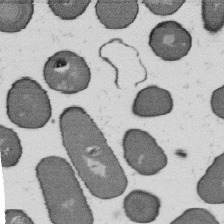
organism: B. subtilis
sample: Bacterial spore